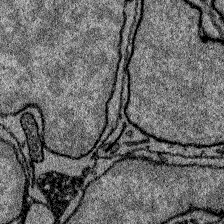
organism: Zebrafish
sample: Larval olfactory bulb